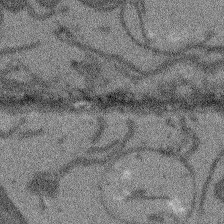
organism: Arabidopsis thaliana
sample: Root tip